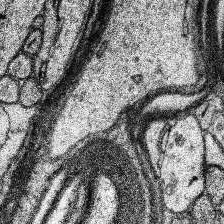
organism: Human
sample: Temporal Lobe